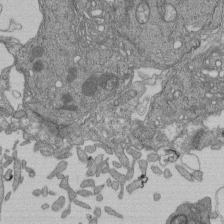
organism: Human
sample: Retinal organoid Rod and Cone cells